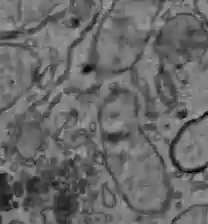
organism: C57BL Mouse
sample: Liver